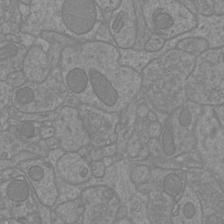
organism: Mouse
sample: Cortical neurons